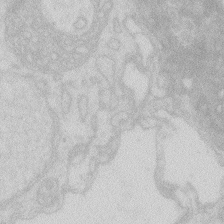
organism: Zebrafish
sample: Macrophage